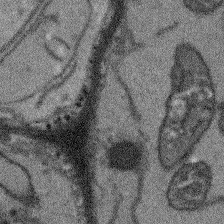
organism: Arabidopsis thaliana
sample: Root tip